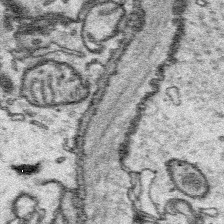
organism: Platynereis dumerilii